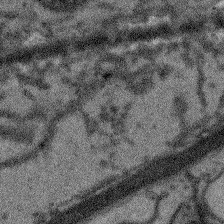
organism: Arabidopsis thaliana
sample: Root tip